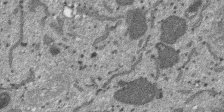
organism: Human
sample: Lung epithelial cells infected with SARS-CoV-2